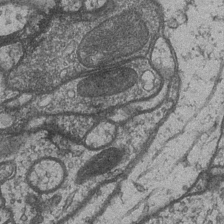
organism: Drosophila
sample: Optic medulla